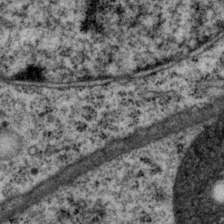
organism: P. pacificus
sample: Pharynx